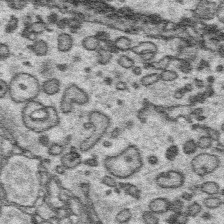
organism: Platynereis dumerilii